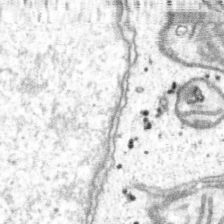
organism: Human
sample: HeLa cells